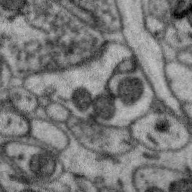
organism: Zebra finch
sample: Brain